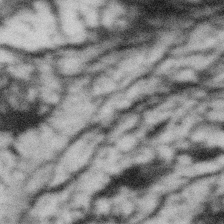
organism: Gemmata obscuriglobus